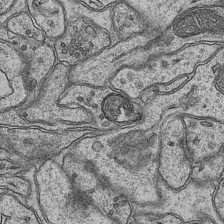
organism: Mouse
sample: CA1 Hippocampus